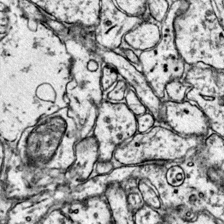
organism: Mouse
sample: Primary visual cortex